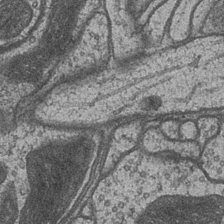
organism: Drosophila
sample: Optic medulla